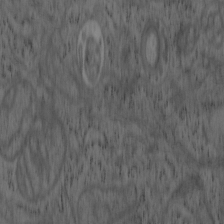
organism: Human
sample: HeLa cells